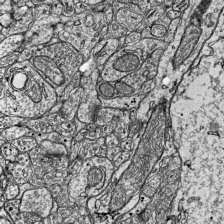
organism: Mouse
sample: Visual Cortex